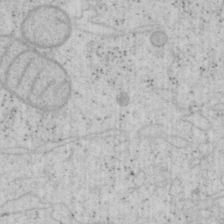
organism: Human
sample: HeLa cells